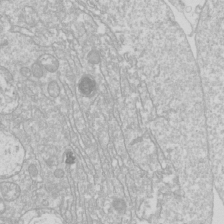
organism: Drosophila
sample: Cell division; meiosis; drosophila spermatocytes